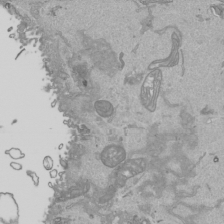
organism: Human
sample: Mitochondria in HCT116 cells